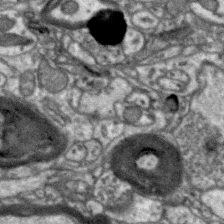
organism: Zebra finch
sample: Brain